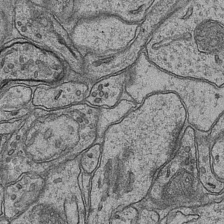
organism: Mouse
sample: CA1 Hippocampus